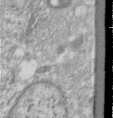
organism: Human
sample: Centriole in RPE cells